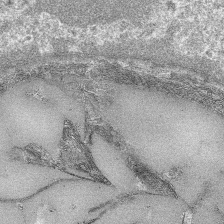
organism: Mouse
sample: Mouse hepatocytes